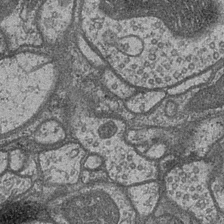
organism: Drosophila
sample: Optic medulla